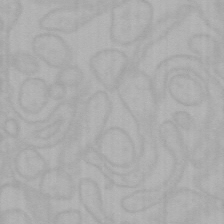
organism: Mouse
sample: Choroid plexus